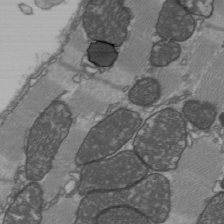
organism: C57BL Mouse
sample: Heart